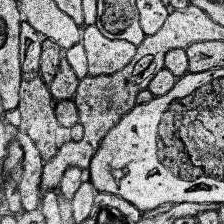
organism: Human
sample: Temporal Lobe